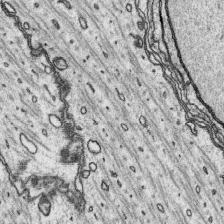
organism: Platynereis dumerilii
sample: Parapodia